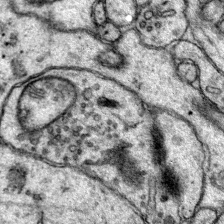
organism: Mouse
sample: Primary visual cortex